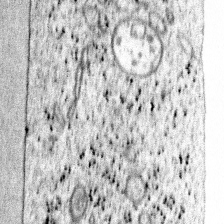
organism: Human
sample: HeLa cells